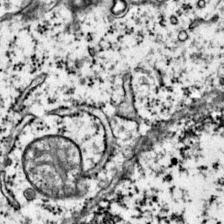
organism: Mouse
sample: Primary visual cortex